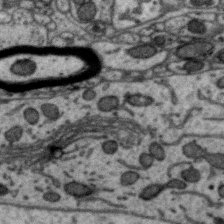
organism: Zebra finch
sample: Brain